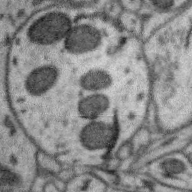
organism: Zebra finch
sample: Brain